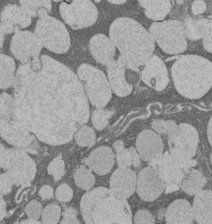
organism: Rat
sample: Salivary granule